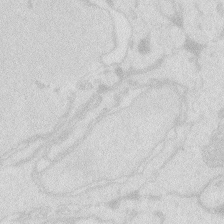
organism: Zebrafish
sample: Macrophage